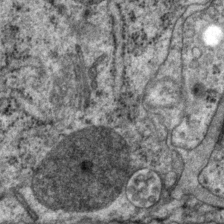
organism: P. pacificus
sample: Pharynx